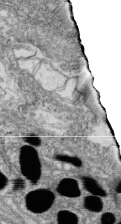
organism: Zebrafish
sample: Cilia; retinal pigment epithelium